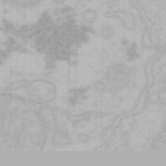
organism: Mouse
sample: Choroid plexus